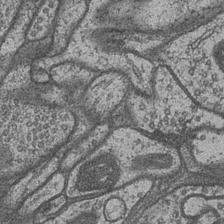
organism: Drosophila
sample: Optic medulla